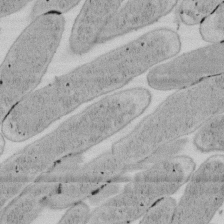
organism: E. coli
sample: Bacterial nucleoid